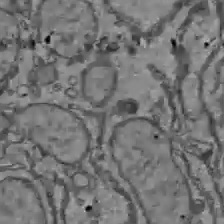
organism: C57BL Mouse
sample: Liver